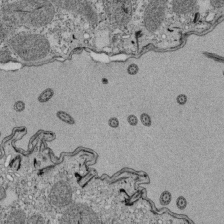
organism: Tetrahymena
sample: Cilia in tetrahymena